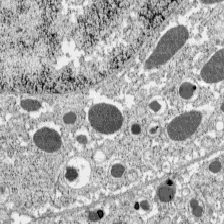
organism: C57BL Mouse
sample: Pancreatic islet